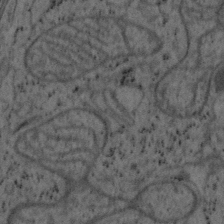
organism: Human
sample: HeLa cells